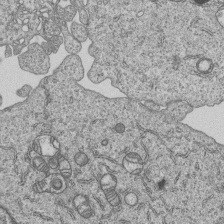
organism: Human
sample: MDA-MB-231 cells